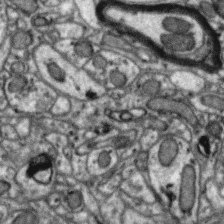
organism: Zebra finch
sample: Brain